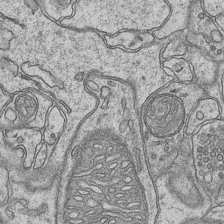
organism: Mouse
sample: CA1 Hippocampus